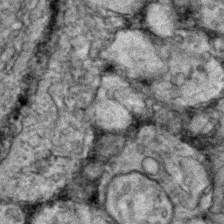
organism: Zebrafish